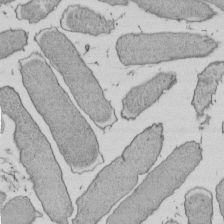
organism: E. coli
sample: Bacterial nucleoid